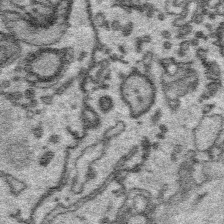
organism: Platynereis dumerilii